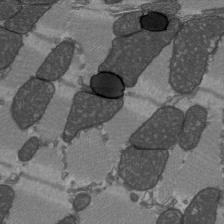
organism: C57BL Mouse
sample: Heart